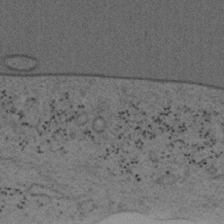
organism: Human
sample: HeLa cells